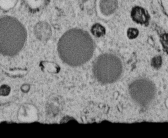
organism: C. elegans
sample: C. elegans embryo early stage